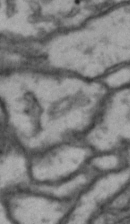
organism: Drosophila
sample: Brain